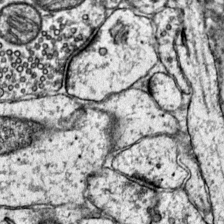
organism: Mouse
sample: Primary visual cortex